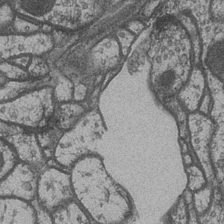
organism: Drosophila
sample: Optic medulla